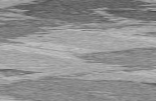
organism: C57BL Mouse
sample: Heart